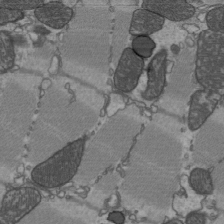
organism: C57BL Mouse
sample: Heart